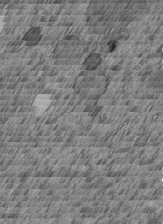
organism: C. elegans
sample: C. elegans embryo early stage